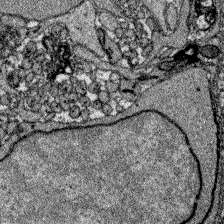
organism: Zebrafish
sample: Larval olfactory bulb